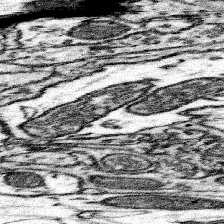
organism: Mouse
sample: Somatosensory cortex neuropil